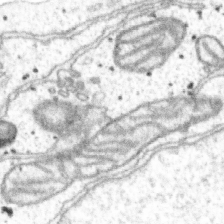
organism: Human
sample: HeLa cells